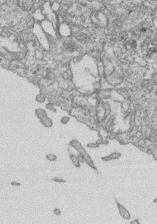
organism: Human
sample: HeLa cell HIV synapse